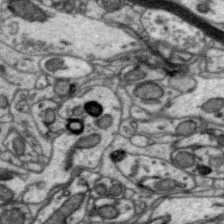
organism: Zebra finch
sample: Brain